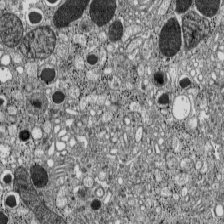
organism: C57BL Mouse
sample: Pancreatic islet